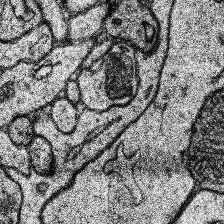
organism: Human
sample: Temporal Lobe